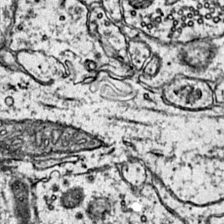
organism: Mouse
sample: Primary visual cortex